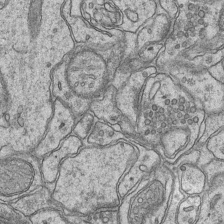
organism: Mouse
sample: CA1 Hippocampus